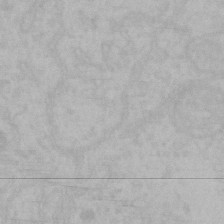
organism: Mouse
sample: Choroid plexus